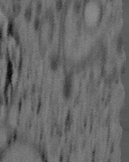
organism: Human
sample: HeLa cells